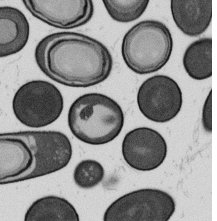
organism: B. subtilis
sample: Bacterial spore